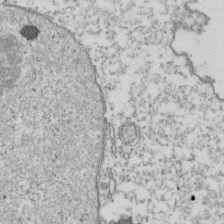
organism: Human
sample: Activated Jurkat CD4+ T cells